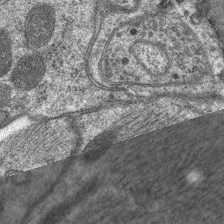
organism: C. elegans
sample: Pharynx